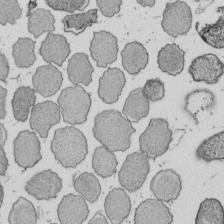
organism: E. coli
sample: Bacterial nucleoid